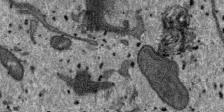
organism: Human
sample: Lung epithelial cells, uninfected (mock) control